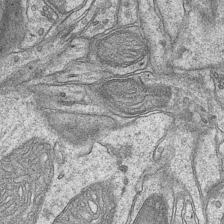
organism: Mouse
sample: CA1 Hippocampus